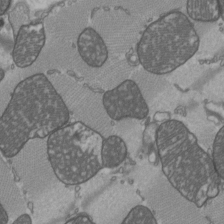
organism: C57BL Mouse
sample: Heart